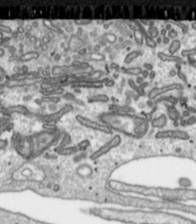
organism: Toxoplasma gondii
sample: Parasites in a vacuole inside a host cell